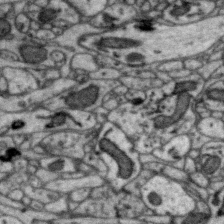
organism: Zebra finch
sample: Brain